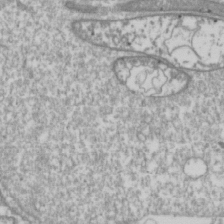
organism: Drosophila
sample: Cell division; meiosis; drosophila spermatocytes